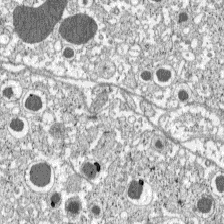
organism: C57BL Mouse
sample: Pancreatic islet